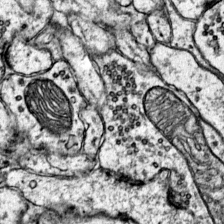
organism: Mouse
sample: Primary visual cortex